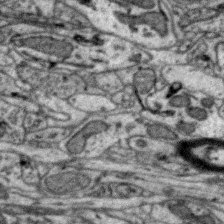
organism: Zebra finch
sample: Brain